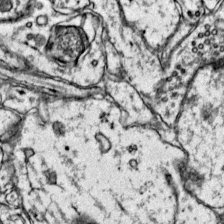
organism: Mouse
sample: Primary visual cortex